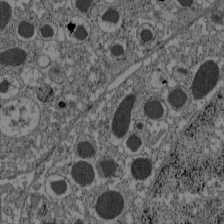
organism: C57BL Mouse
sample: Pancreatic islet